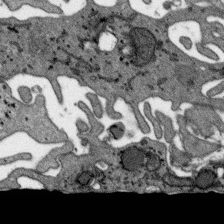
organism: Human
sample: Lung epithelial cells, uninfected (mock) control